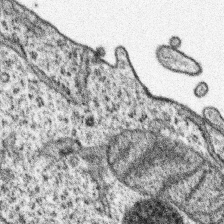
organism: Human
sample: HeLa cells